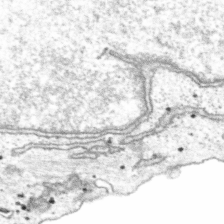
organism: Human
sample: HeLa cells